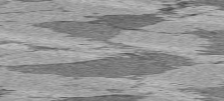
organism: C57BL Mouse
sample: Heart